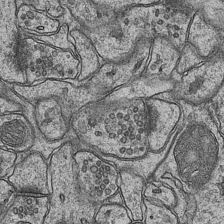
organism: Mouse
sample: CA1 Hippocampus